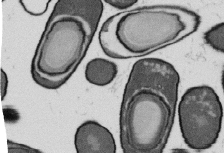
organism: B. subtilis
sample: Bacterial spore